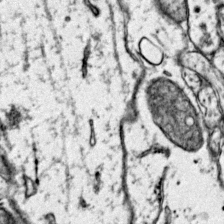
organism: Mouse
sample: Primary visual cortex